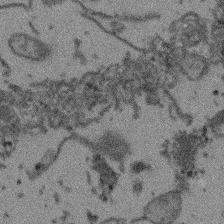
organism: Arabidopsis thaliana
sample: Root tip